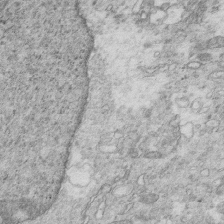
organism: Mouse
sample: Multiciliated cells